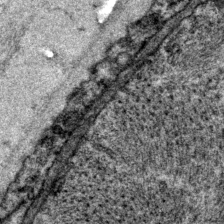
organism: P. pacificus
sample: Pharynx